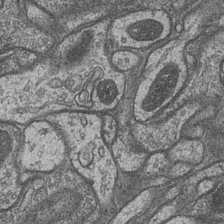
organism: Drosophila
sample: Optic medulla